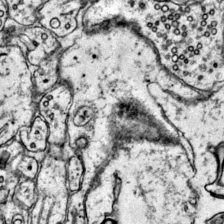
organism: Mouse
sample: Primary visual cortex